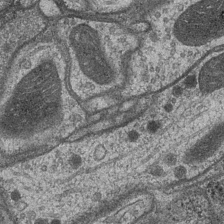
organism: Drosophila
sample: Optic medulla